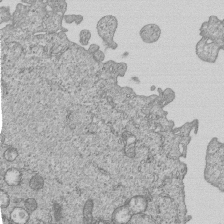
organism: Human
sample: MDA-MB-231 cells